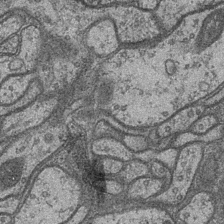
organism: Drosophila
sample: Optic medulla